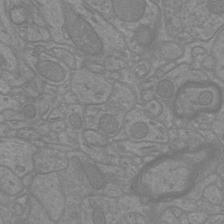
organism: Mouse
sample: Cortical neurons